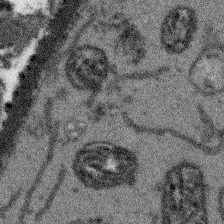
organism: Arabidopsis thaliana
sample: Root tip